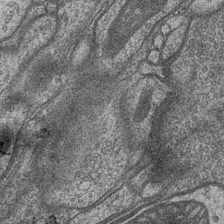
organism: Drosophila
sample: Optic medulla